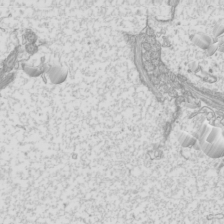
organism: Mouse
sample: Cilia; mouse epididymis